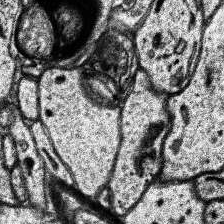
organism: Human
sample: Temporal Lobe